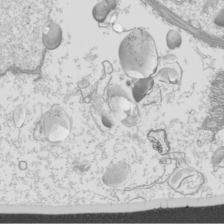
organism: Mouse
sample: Cilia; mouse epididymis